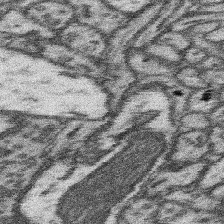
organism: Mouse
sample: Somatosensory cortex neuropil